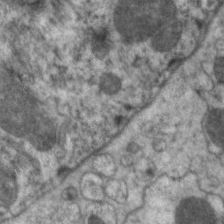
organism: C. elegans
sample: Pharynx